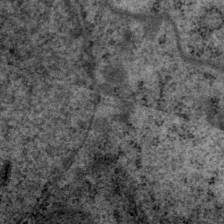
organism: P. pacificus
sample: Pharynx